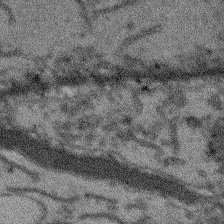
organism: Arabidopsis thaliana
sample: Root tip